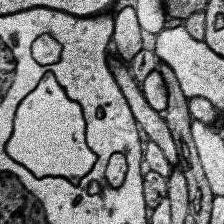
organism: Human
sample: Temporal Lobe